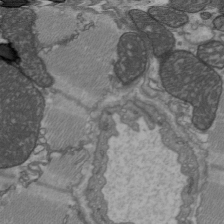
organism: C57BL Mouse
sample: Heart